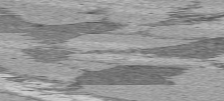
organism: C57BL Mouse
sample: Heart